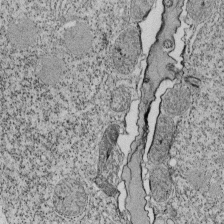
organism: Tetrahymena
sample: Cilia in tetrahymena